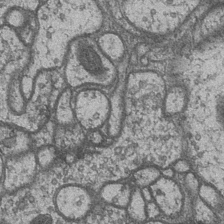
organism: Drosophila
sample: Optic medulla